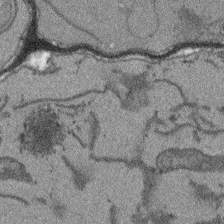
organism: Arabidopsis thaliana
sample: Root tip